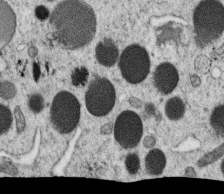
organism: C. elegans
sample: C. elegans oocyte; sperm cells